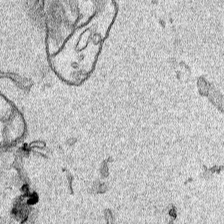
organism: Human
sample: Mitochondria in HCT116 cells